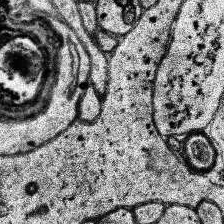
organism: Human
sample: Temporal Lobe